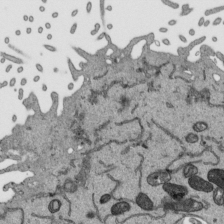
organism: Human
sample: Mitochondria in HCT116 cells